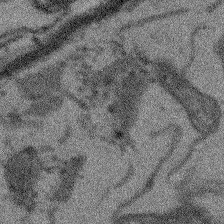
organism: Arabidopsis thaliana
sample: Root tip